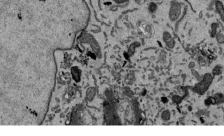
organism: Mouse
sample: ED-1 cell nuclei; centrioles